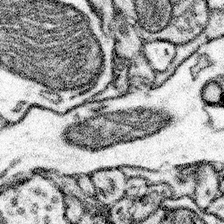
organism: Mouse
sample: Somatosensory cortex neuropil